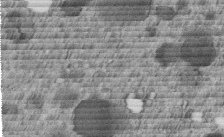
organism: C. elegans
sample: C. elegans embryo early stage